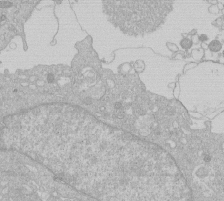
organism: Human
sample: Macrophage cells